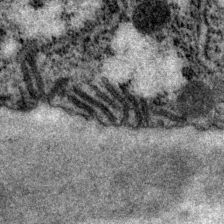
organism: P. pacificus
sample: Pharynx